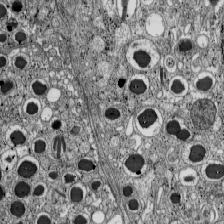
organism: C57BL Mouse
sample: Pancreatic islet